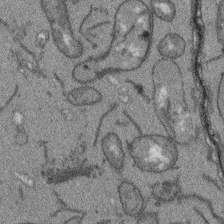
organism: Arabidopsis thaliana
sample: Root tip